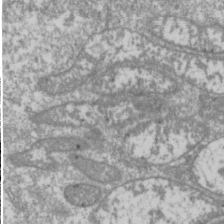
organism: Drosophila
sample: Cell division; meiosis; drosophila spermatocytes